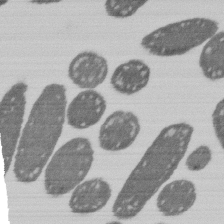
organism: E. coli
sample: Bacterial nucleoid